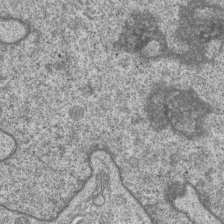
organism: Human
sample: MDA-MB-231 cells